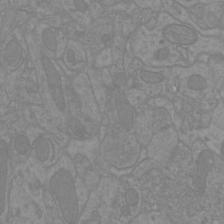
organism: Mouse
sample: Cortical neurons